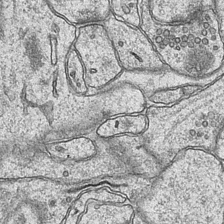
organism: Mouse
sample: CA1 Hippocampus